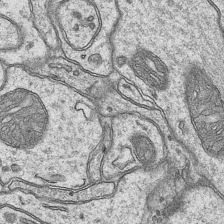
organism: Mouse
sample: CA1 Hippocampus